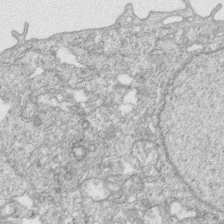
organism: Human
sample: HeLa cell HIV synapse